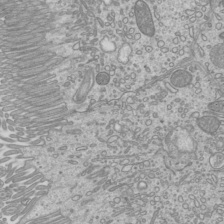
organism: Mouse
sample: Cilia; mouse epididymis